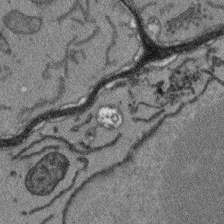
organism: Arabidopsis thaliana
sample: Root tip